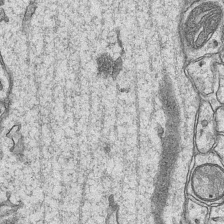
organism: Mouse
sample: CA1 Hippocampus